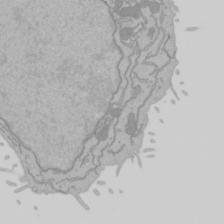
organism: Mouse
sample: Cancer cell death in ED-1 cells